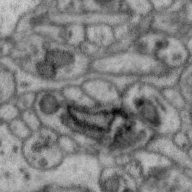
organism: Zebra finch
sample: Brain